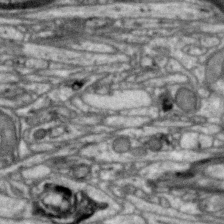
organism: Zebra finch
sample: Brain